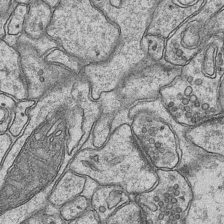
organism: Mouse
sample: CA1 Hippocampus